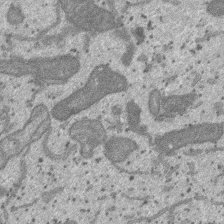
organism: Human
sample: Lung epithelial cells infected with SARS-CoV-2